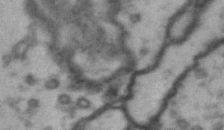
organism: Drosophila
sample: Brain